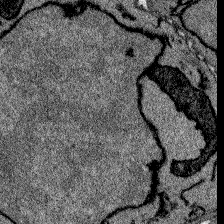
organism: Zebrafish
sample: Larval olfactory bulb